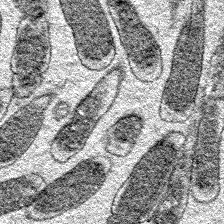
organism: E. coli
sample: E. Coli Bacteria